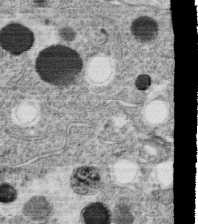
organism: C. elegans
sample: C. elegans oocyte; sperm cells